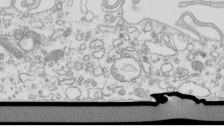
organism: Mouse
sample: Macrophages